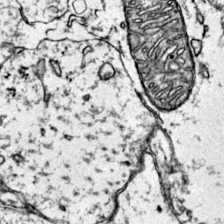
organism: Mouse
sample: Primary visual cortex